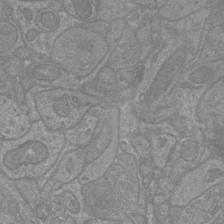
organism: Mouse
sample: Cortical neurons